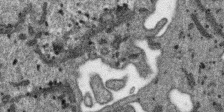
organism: Human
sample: Lung epithelial cells infected with SARS-CoV-2